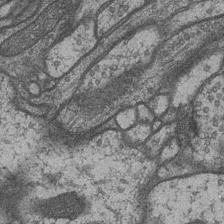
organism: Drosophila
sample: Optic medulla